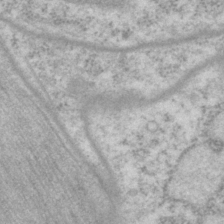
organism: P. pacificus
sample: Pharynx